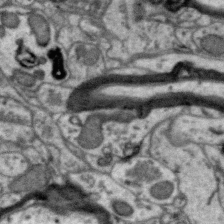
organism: Zebra finch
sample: Brain